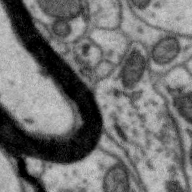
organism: Zebra finch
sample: Brain